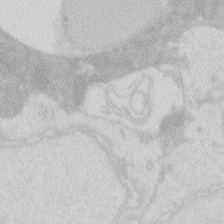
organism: Zebrafish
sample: Macrophage